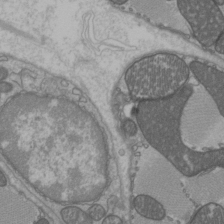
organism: C57BL Mouse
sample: Heart